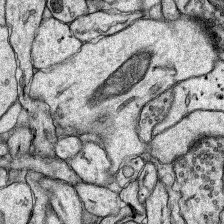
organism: Rat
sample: Hippocampus